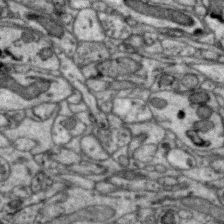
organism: Zebra finch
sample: Brain